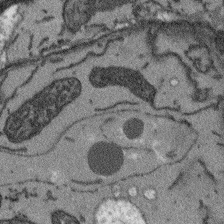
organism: Arabidopsis thaliana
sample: Root tip